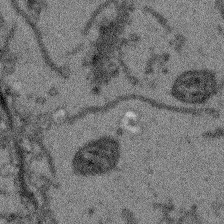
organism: Arabidopsis thaliana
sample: Root tip